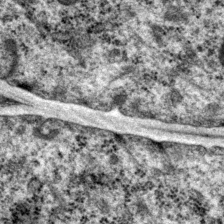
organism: P. pacificus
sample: Pharynx